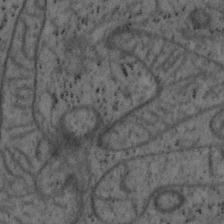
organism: Human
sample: HeLa cells